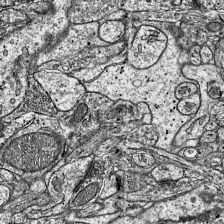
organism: Mouse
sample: Visual Cortex